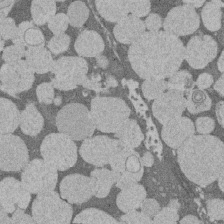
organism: Rat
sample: Salivary granule